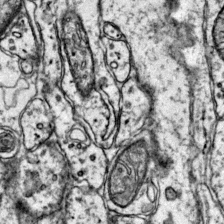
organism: Mouse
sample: Primary visual cortex